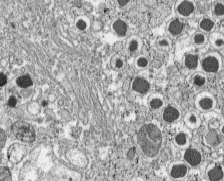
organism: C57BL Mouse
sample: Pancreatic islet